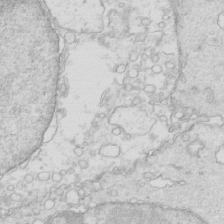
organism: Mouse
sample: Multiciliated cells